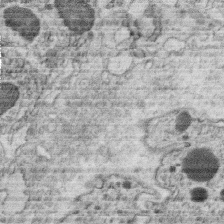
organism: C. elegans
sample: C. elegans oocyte; sperm cells